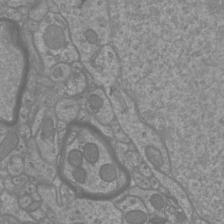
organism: Mouse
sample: Cortical neurons